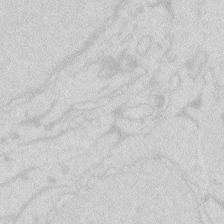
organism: Zebrafish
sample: Macrophage